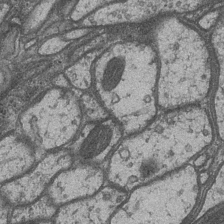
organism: Drosophila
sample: Optic medulla